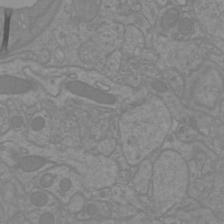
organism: Mouse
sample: Cortical neurons